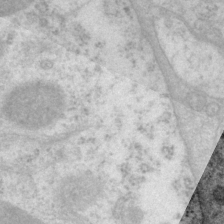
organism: P. pacificus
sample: Pharynx